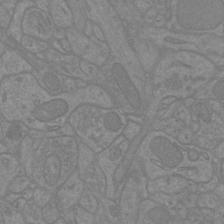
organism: Mouse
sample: Cortical neurons